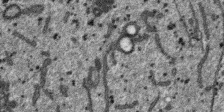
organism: Human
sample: Lung epithelial cells infected with SARS-CoV-2